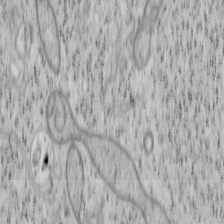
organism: Human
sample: HeLa cells